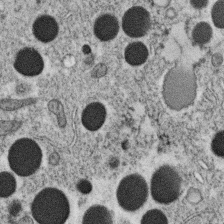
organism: C. elegans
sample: C. elegans oocyte; sperm cells